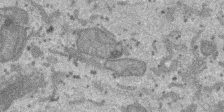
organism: Human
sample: Lung epithelial cells infected with SARS-CoV-2